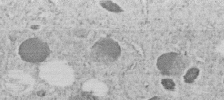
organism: C. elegans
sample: C. elegans embryo early stage